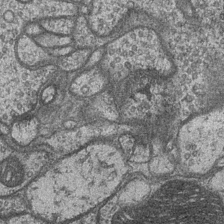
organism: Drosophila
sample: Optic medulla